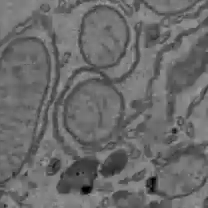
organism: C57BL Mouse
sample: Liver